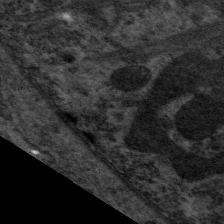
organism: C. elegans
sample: Pharynx